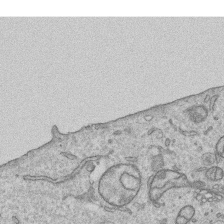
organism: Human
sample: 1205lu cells